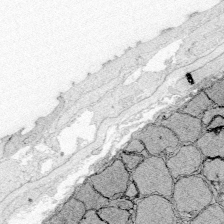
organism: Zebrafish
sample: Whole-Brain